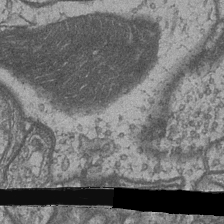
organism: Drosophila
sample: Optic medulla